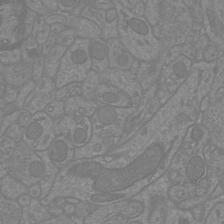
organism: Mouse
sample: Cortical neurons